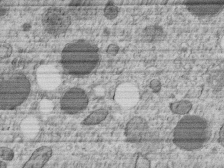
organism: C. elegans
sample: C. elegans embryo early stage